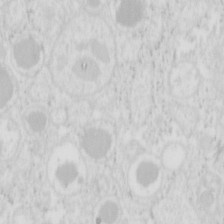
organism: Mouse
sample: Pancreas